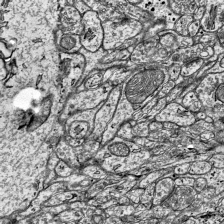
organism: Mouse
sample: Visual Cortex